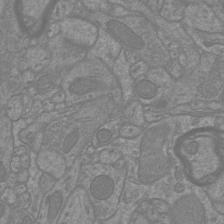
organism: Mouse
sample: Cortical neurons